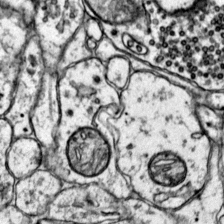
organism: Mouse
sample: Primary visual cortex